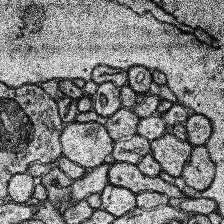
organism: Human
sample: Temporal Lobe